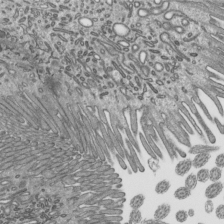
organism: Mouse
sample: Mouse epididymis efferent ductule cilia